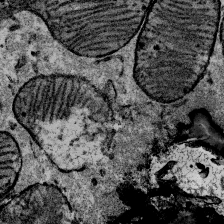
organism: Mouse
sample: Mouse Salivary gland